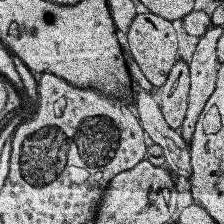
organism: Human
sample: Temporal Lobe